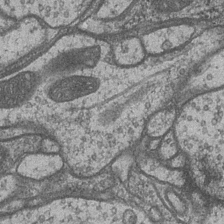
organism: Drosophila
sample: Optic medulla